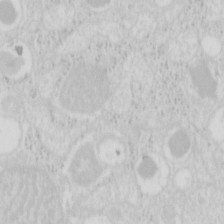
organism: Mouse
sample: Pancreas